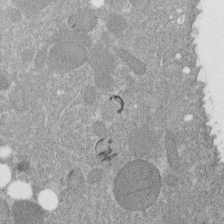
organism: C. elegans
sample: C. elegans embryo early stage